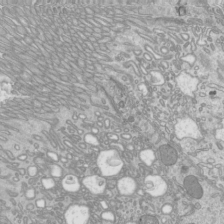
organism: Mouse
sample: Cilia; mouse epididymis